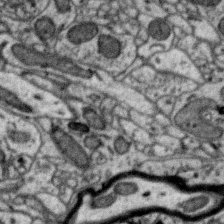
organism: Zebra finch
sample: Brain